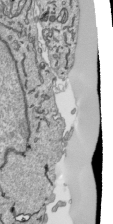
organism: Human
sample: Mitochondria in HCT116 cells